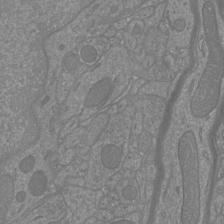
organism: Mouse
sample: Cortical neurons